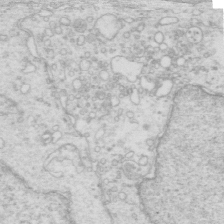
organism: Mouse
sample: Multiciliated cells